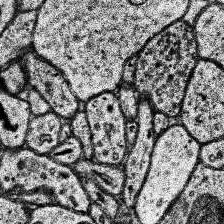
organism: Human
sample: Temporal Lobe